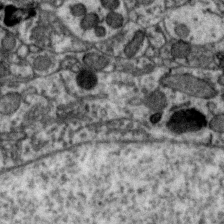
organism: Zebra finch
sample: Brain